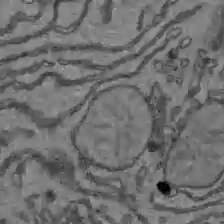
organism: C57BL Mouse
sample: Liver